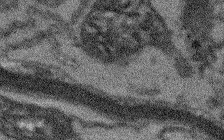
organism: Arabidopsis thaliana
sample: Root tip